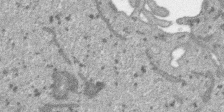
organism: Human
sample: Lung epithelial cells infected with SARS-CoV-2